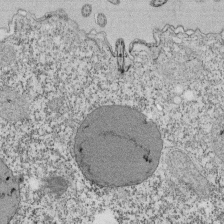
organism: Tetrahymena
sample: Cilia in tetrahymena